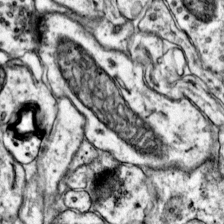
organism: Mouse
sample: Primary visual cortex